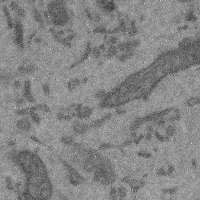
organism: Mouse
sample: Cerebral cortex